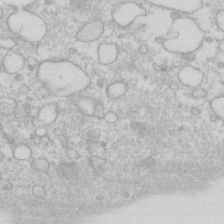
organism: Human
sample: Fibroblast cells